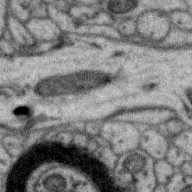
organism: Zebra finch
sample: Brain